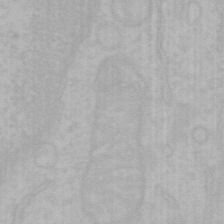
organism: Mouse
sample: Choroid plexus